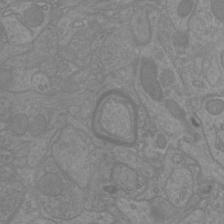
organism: Mouse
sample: Cortical neurons